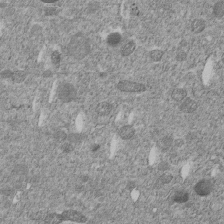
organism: C. elegans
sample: C. elegans embryo early stage